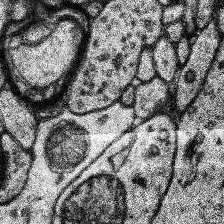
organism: Human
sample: Temporal Lobe